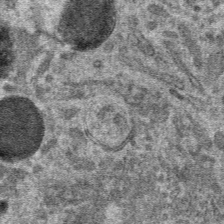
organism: Mouse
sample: Mouse hepatocytes